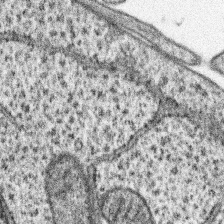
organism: Human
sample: HeLa cells